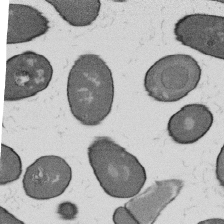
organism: B. subtilis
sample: Bacterial spore